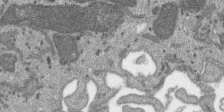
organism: Human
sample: Lung epithelial cells infected with SARS-CoV-2